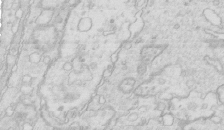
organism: Mouse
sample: Multiciliated cells